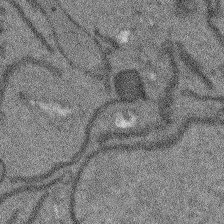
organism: Arabidopsis thaliana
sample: Root tip